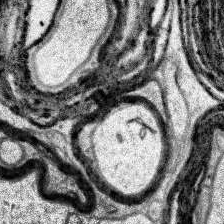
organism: Human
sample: Temporal Lobe